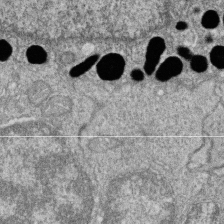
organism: Zebrafish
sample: Cilia; retinal pigment epithelium